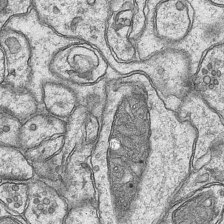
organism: Mouse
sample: CA1 Hippocampus